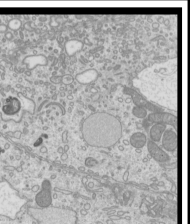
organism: Mouse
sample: Cilia; mouse epididymis